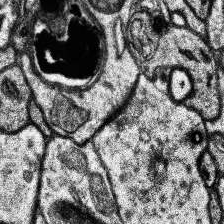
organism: Human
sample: Temporal Lobe